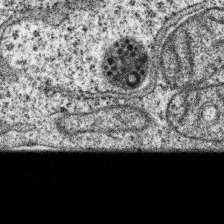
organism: Human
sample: HeLa cells